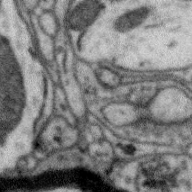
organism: Zebra finch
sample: Brain